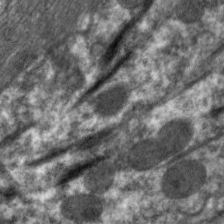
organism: C. elegans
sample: Pharynx